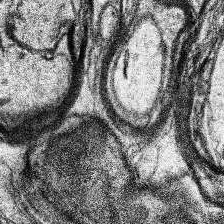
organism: Human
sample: Temporal Lobe